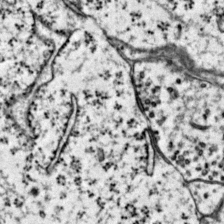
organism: Mouse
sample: Primary visual cortex